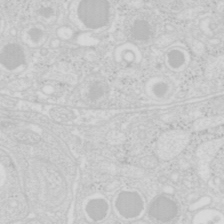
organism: Mouse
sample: Pancreas